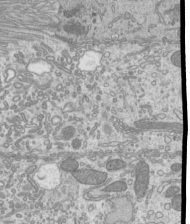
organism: Mouse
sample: Cilia; mouse epididymis